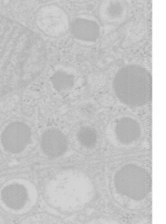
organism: Mouse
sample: Pancreas